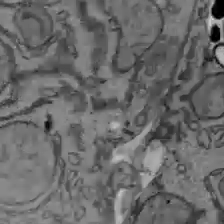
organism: C57BL Mouse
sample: Liver